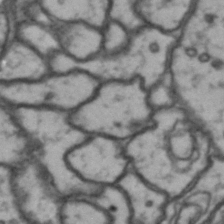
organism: Drosophila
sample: Brain